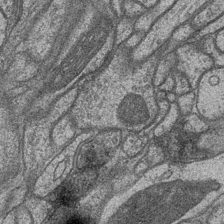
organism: Drosophila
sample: Optic medulla